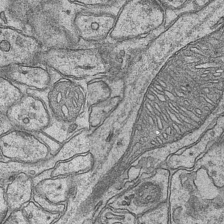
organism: Mouse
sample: CA1 Hippocampus